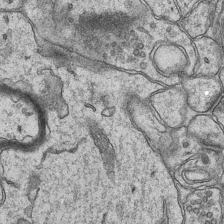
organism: Mouse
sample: CA1 Hippocampus